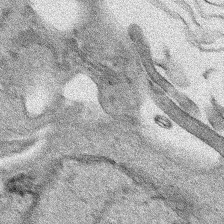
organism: Human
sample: Mitochondria in HCT116 cells